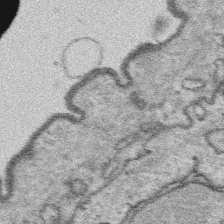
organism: Platynereis dumerilii